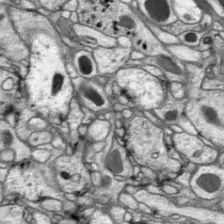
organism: Drosophila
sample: Optic lobe